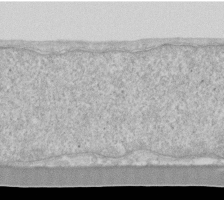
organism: Human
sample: Fibroblast cells